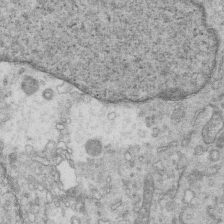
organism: Mouse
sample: Multiciliated cells